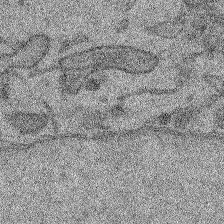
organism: Human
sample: HeLa cells